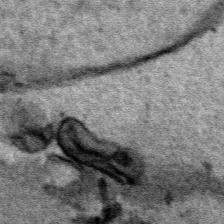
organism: Human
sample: Mitochondria in HCT116 cells